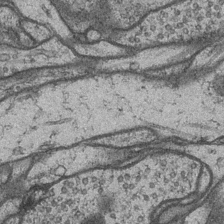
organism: Drosophila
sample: Optic medulla